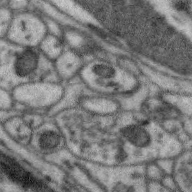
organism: Zebra finch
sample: Brain